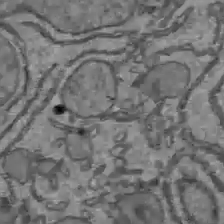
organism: C57BL Mouse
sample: Liver